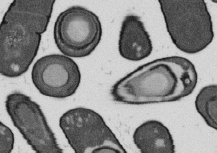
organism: B. subtilis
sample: Bacterial spore